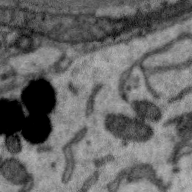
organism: Zebra finch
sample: Brain